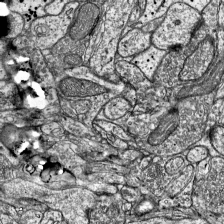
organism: Mouse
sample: Visual Cortex